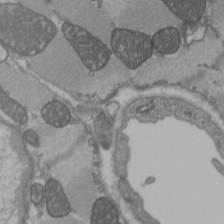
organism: C57BL Mouse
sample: Heart